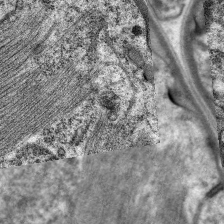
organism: C. elegans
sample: Pharynx